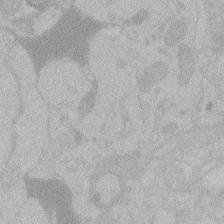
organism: Zebrafish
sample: Macrophage infected with Toxoplasma gondii